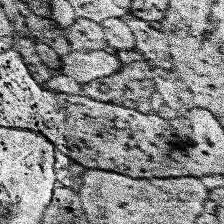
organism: Human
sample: Temporal Lobe